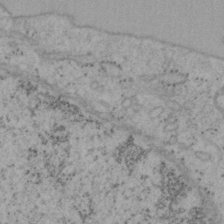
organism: Human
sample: HeLa cells